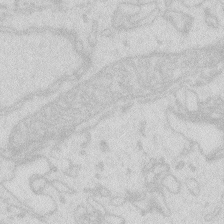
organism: Zebrafish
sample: Macrophage